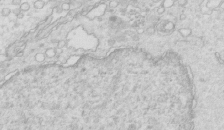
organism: Mouse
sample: Multiciliated cells